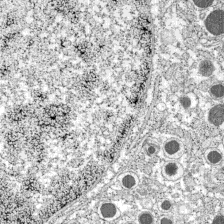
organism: C57BL Mouse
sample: Pancreatic islet